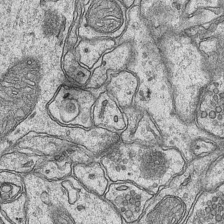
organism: Mouse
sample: CA1 Hippocampus